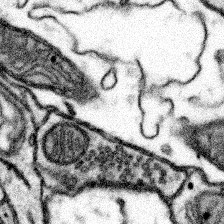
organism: Mouse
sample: Somatosensory cortex neuropil